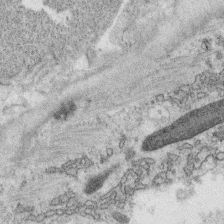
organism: C. elegans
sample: C. elegans oocyte; sperm cells